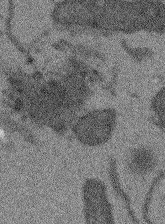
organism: Arabidopsis thaliana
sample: Root tip